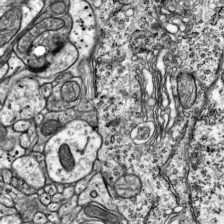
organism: Mouse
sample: Visual Cortex